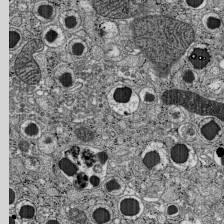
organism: C57BL Mouse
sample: Pancreatic islet